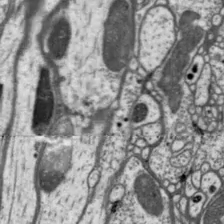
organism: Drosophila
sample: Protocerebral bridge